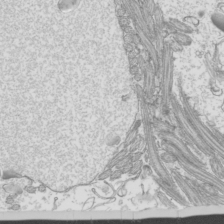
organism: Mouse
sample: Cilia; mouse epididymis